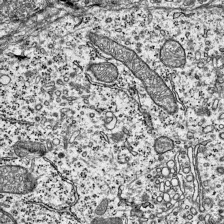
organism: Mouse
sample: Visual Cortex